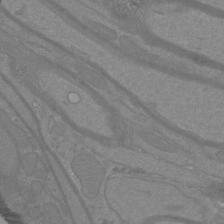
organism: Mouse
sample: Cortical neurons